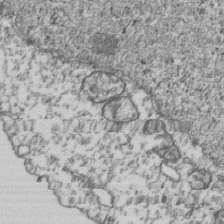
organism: Human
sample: Activated Jurkat CD4+ T cells